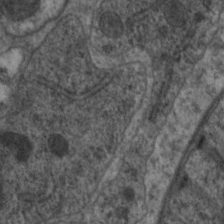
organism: C. elegans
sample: Pharynx